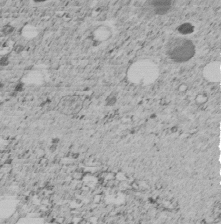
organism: C. elegans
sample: C. elegans embryo early stage